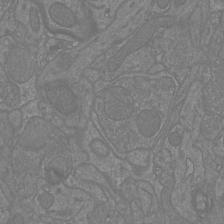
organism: Mouse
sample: Cortical neurons